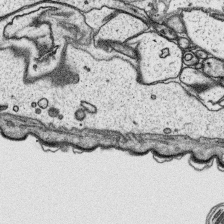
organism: Platynereis dumerilii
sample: Parapodia